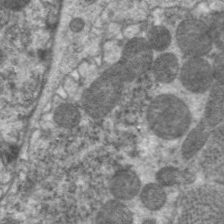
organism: C. elegans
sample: Pharynx